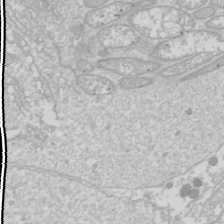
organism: Drosophila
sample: Cell division; meiosis; drosophila spermatocytes